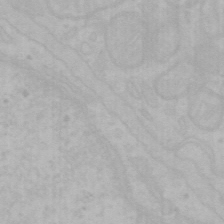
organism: Mouse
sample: Choroid plexus